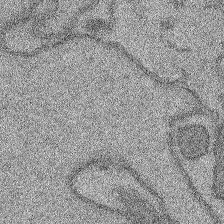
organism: Human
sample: HeLa cells